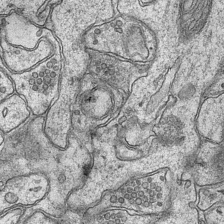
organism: Mouse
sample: CA1 Hippocampus